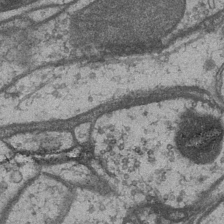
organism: Drosophila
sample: Optic medulla